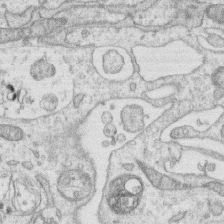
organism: Human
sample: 1205lu cells